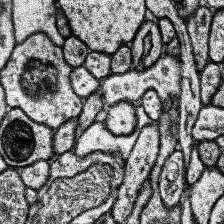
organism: Human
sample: Temporal Lobe